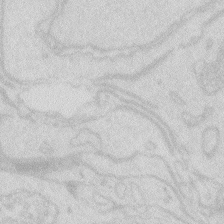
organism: Zebrafish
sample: Macrophage